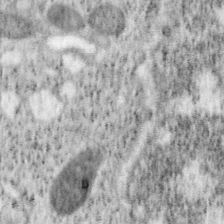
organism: Mouse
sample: OT-I killer T cells with ID8 ovarian cancer cells